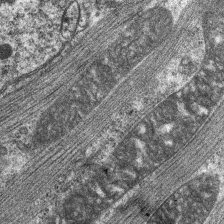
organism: C. elegans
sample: Pharynx